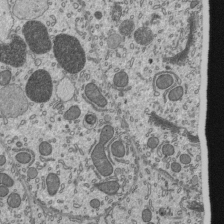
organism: Mouse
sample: Mouse epididymis efferent ductule cilia